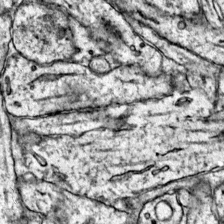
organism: Mouse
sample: Primary visual cortex